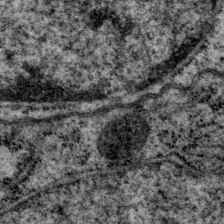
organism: P. pacificus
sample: Pharynx